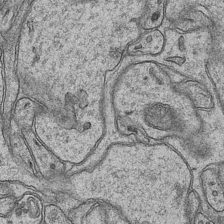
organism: Mouse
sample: CA1 Hippocampus